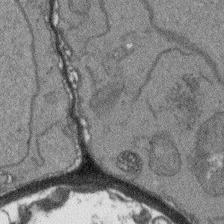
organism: Arabidopsis thaliana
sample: Root tip